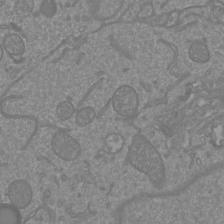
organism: Mouse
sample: Cortical neurons